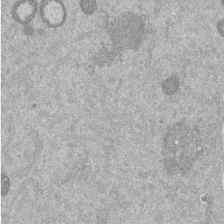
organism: Mouse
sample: Dividing mouse embryo 1 cell stage